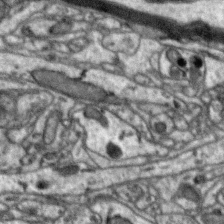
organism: Zebra finch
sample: Brain